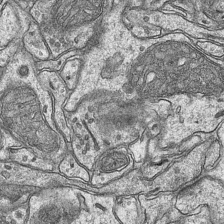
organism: Mouse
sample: CA1 Hippocampus